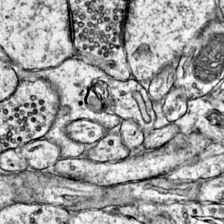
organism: Mouse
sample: Primary visual cortex